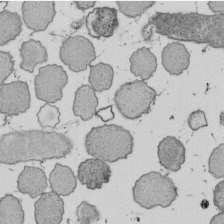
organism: E. coli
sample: Bacterial nucleoid